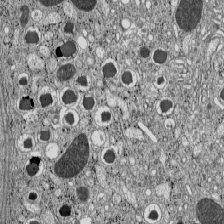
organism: C57BL Mouse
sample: Pancreatic islet